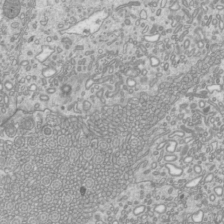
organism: Mouse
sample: Cilia; mouse epididymis